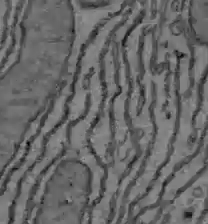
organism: C57BL Mouse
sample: Liver